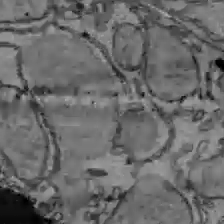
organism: C57BL Mouse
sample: Liver